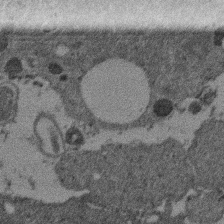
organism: Mouse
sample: Dividing mouse embryo 1 cell stage